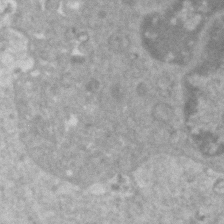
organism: Human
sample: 1205lu cells